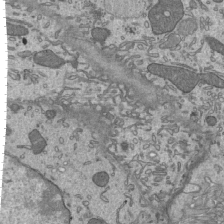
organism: Mouse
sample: Mouse epididymis efferent ductule cilia